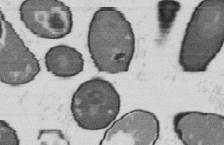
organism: B. subtilis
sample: Bacterial spore